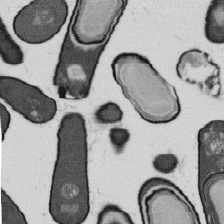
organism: B. subtilis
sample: Bacterial spore